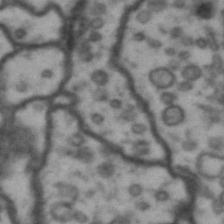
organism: Drosophila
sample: Brain